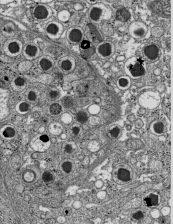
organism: C57BL Mouse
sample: Pancreatic islet